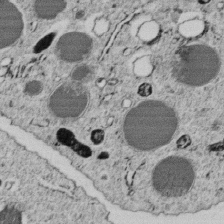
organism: C. elegans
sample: C. elegans embryo early stage